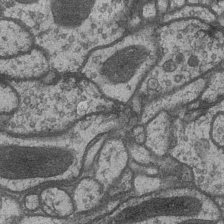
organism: Drosophila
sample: Optic medulla